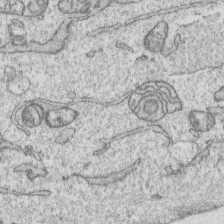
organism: Human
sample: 1205lu cells